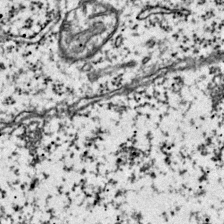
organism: Mouse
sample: Primary visual cortex